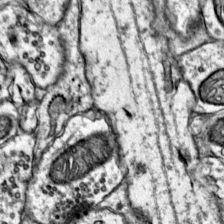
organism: Mouse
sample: Primary visual cortex